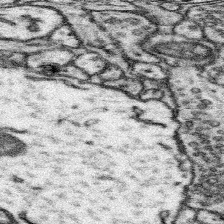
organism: Mouse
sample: Somatosensory cortex neuropil